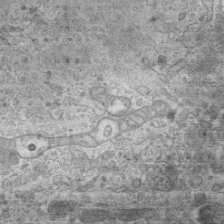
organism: Mouse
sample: Centriole in ependymal cells